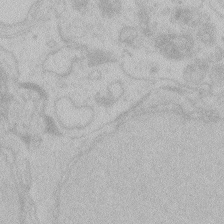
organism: Zebrafish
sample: Macrophage infected with Toxoplasma gondii